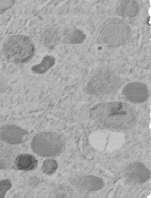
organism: C. elegans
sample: C. elegans embryo early stage